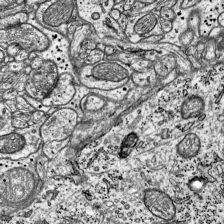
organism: Mouse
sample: Visual Cortex